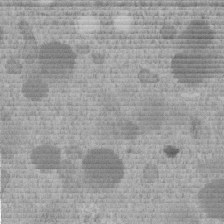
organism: C. elegans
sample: C. elegans embryo early stage